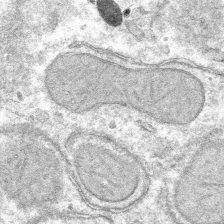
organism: Mouse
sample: Mouse hepatocytes